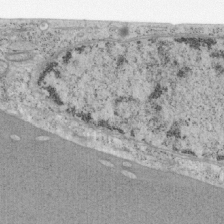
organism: Human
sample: HeLa cells